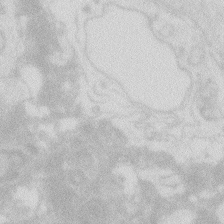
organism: Zebrafish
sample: Macrophage